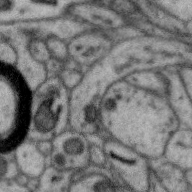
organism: Zebra finch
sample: Brain